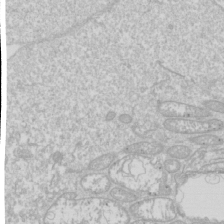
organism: Drosophila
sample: Cell division; meiosis; drosophila spermatocytes